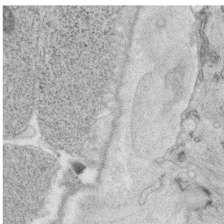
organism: C. elegans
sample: C. elegans oocyte; sperm cells